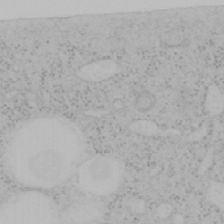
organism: Mouse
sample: OT-I killer T cells with ID8 ovarian cancer cells